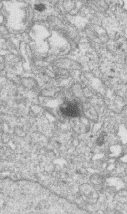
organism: Human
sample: HeLa cell HIV synapse